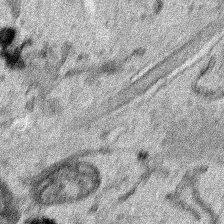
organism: Human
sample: Mitochondria in HCT116 cells